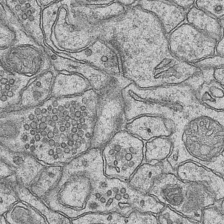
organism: Mouse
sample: CA1 Hippocampus